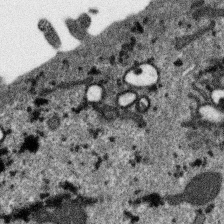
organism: Human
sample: Lung epithelial cells infected with SARS-CoV-2